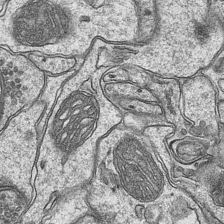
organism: Mouse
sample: CA1 Hippocampus